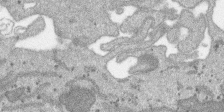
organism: Human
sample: Lung epithelial cells infected with SARS-CoV-2